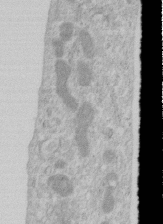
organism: Human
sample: Centriole in RPE cells